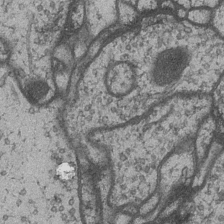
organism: Drosophila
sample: Optic medulla